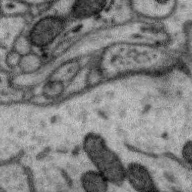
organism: Zebra finch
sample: Brain